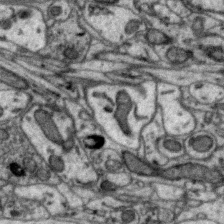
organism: Zebra finch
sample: Brain